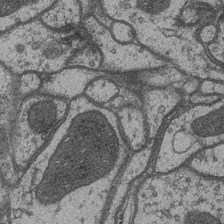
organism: Drosophila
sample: Optic medulla